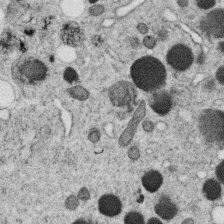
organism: C. elegans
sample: C. elegans oocyte; sperm cells